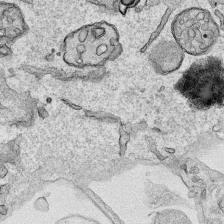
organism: Human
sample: Mitochondria in HCT116 cells